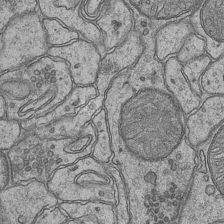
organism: Mouse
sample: CA1 Hippocampus